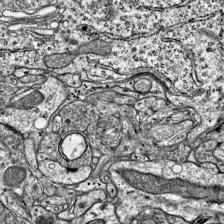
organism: Mouse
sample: Visual Cortex